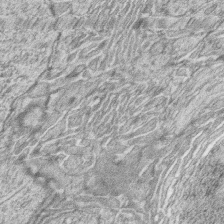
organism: Zebrafish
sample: synaptic ribbons in rod cells and cone cells